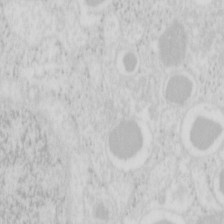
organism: Mouse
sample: Pancreas